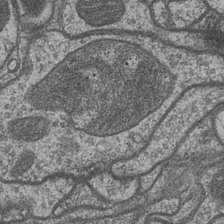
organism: Drosophila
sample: Optic medulla